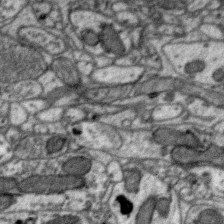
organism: Zebra finch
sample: Brain